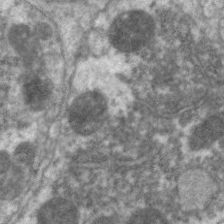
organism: C. elegans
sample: Pharynx